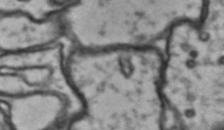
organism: Drosophila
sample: Brain